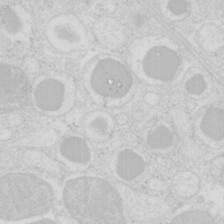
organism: Mouse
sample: Pancreas